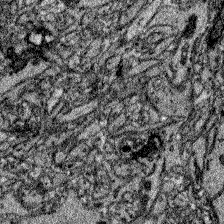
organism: Zebrafish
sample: Larval olfactory bulb